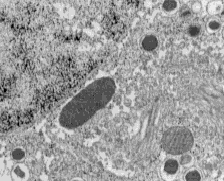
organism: C57BL Mouse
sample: Pancreatic islet